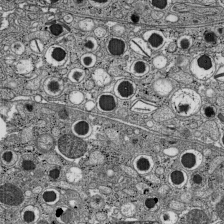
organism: C57BL Mouse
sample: Pancreatic islet